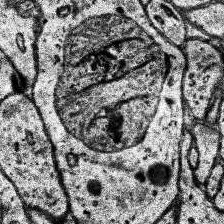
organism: Human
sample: Temporal Lobe